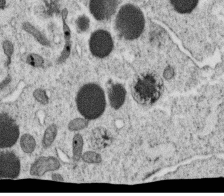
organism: C. elegans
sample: C. elegans oocyte; sperm cells